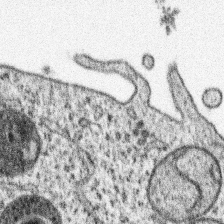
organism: Human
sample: HeLa cells